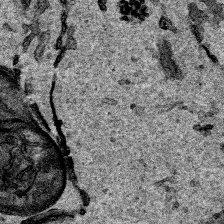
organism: Human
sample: Mitochondria in HCT116 cells